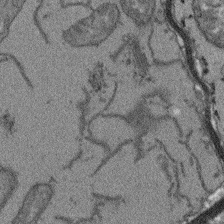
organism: Arabidopsis thaliana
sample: Root tip